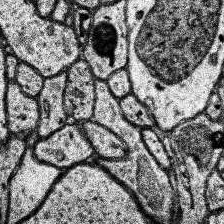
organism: Human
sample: Temporal Lobe